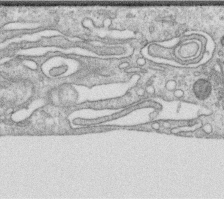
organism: Human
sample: Centriole in RPE cells